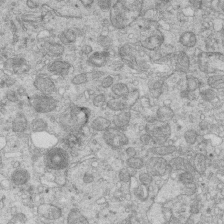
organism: Mouse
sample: Multiciliated cells